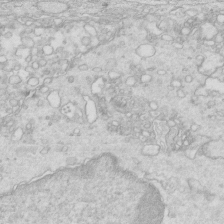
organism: Mouse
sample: Multiciliated cells